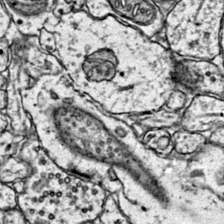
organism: Mouse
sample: Primary visual cortex